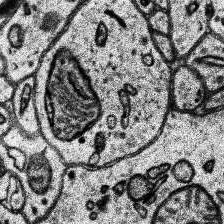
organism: Human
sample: Temporal Lobe